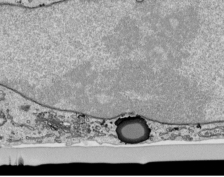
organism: Human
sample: Mitochondria in HCT116 cells